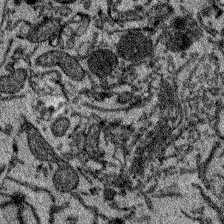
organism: Zebrafish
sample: Larval olfactory bulb